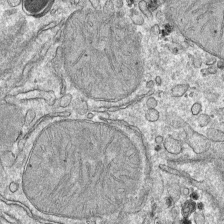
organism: Mouse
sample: Mouse hepatocytes